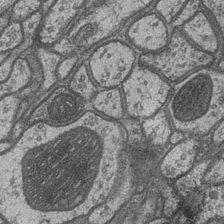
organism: Drosophila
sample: Optic medulla